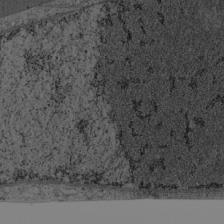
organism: African green monkey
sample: COS-7 cells